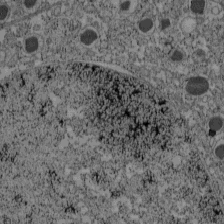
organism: C57BL Mouse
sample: Pancreatic islet